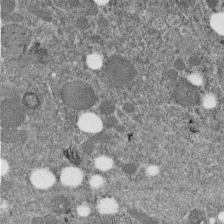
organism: C. elegans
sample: C. elegans embryo early stage